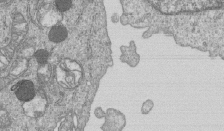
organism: Human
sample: MDA-MB-231 cells